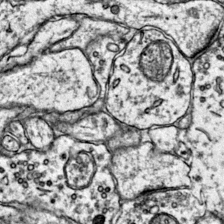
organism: Mouse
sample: Primary visual cortex